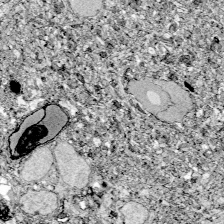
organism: Zebrafish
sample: Whole-Brain